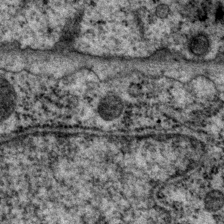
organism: P. pacificus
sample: Pharynx